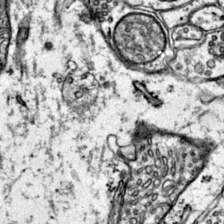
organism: Mouse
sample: Primary visual cortex